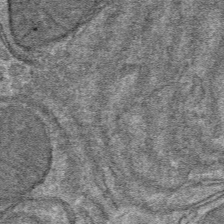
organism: Mouse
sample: Mouse hepatocytes